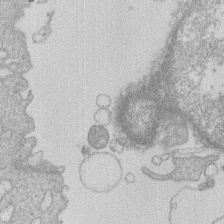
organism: Human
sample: Macrophage cells